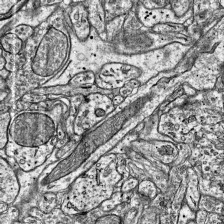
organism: Mouse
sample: Visual Cortex